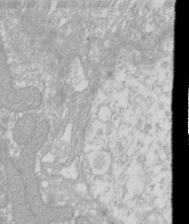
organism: Xenopus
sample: Cilia; centrioles in frog embryo cells